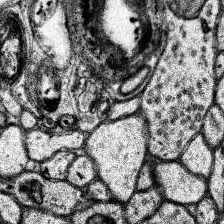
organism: Human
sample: Temporal Lobe